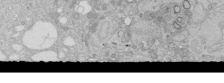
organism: Human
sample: Caco-2 cells